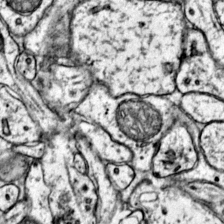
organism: Mouse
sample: Primary visual cortex